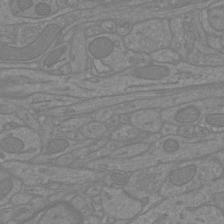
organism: Mouse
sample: Cortical neurons